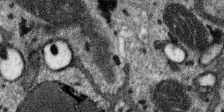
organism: Human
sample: Lung epithelial cells infected with SARS-CoV-2